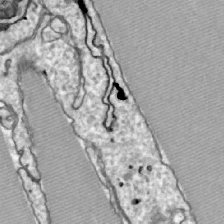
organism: Zebrafish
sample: Actinotrichia fibers